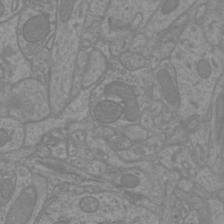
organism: Mouse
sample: Cortical neurons